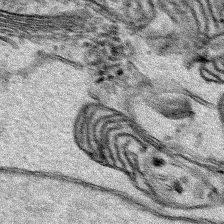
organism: Human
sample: Mitochondria in HCT116 cells